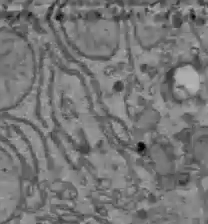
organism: C57BL Mouse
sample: Liver